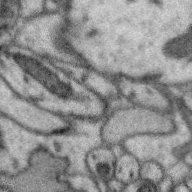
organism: Zebra finch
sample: Brain